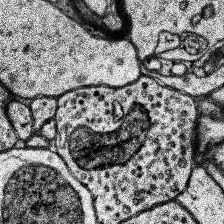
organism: Human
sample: Temporal Lobe